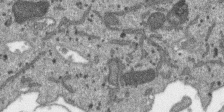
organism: Human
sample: Lung epithelial cells infected with SARS-CoV-2